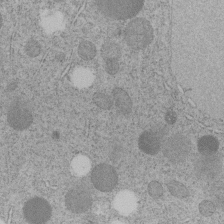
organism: C. elegans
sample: C. elegans embryo early stage